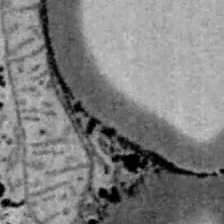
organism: Mouse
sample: Liver from an obese (ob/ob) mouse